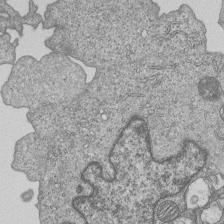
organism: Human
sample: MDA-MB-231 cells